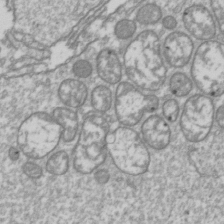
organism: Drosophila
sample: Cell division; meiosis; drosophila spermatocytes